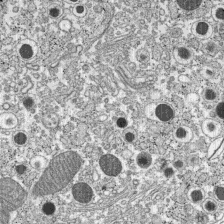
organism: C57BL Mouse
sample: Pancreatic islet